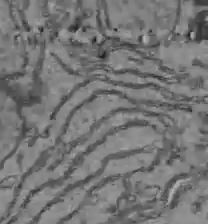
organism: C57BL Mouse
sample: Liver